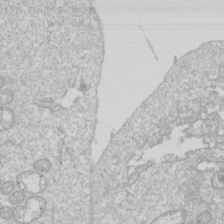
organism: Drosophila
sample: Cell division; meiosis; drosophila spermatocytes